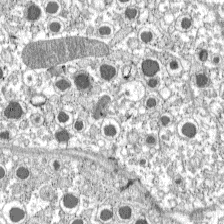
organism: C57BL Mouse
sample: Pancreatic islet